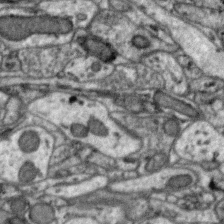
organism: Zebra finch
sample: Brain